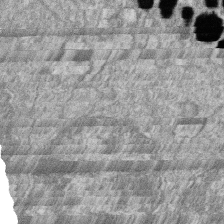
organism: Zebrafish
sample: Cilia; retinal pigment epithelium